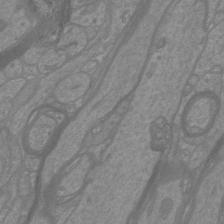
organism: Mouse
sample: Cortical neurons